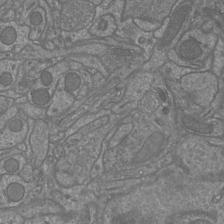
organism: Mouse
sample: Cortical neurons